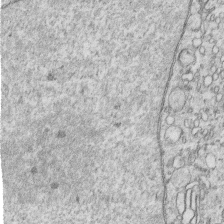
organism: Human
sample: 1205lu cells